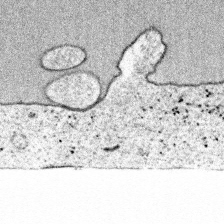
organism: Human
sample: HeLa cells